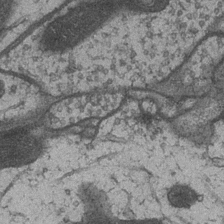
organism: Drosophila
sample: Optic medulla